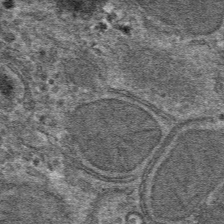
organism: Mouse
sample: Mouse hepatocytes